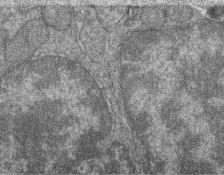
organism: Zebrafish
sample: Cilia; retinal pigment epithelium